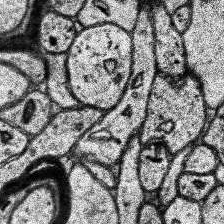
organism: Human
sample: Temporal Lobe